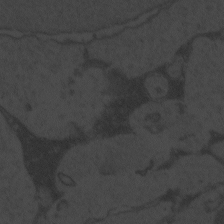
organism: Zebrafish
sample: Macrophage infected with Toxoplasma gondii